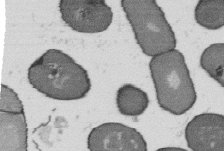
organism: B. subtilis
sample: Bacterial spore